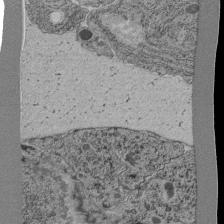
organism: C. elegans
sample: C. elegans pharynx